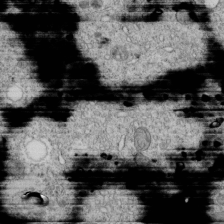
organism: C. elegans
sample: C. elegans embryo early stage